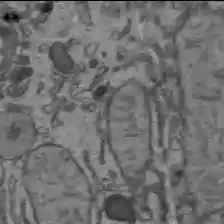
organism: C57BL Mouse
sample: Liver